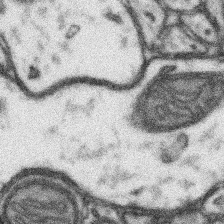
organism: Mouse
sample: Somatosensory cortex neuropil